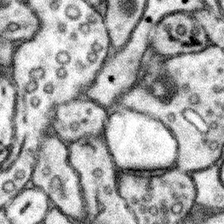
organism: Mouse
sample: Somatosensory cortex neuropil